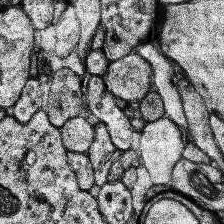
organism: Human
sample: Temporal Lobe